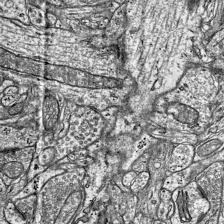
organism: Mouse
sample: Visual Cortex